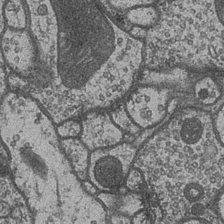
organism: Drosophila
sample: Optic medulla